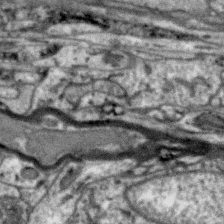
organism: Zebra finch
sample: Brain